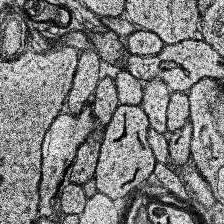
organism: Human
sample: Temporal Lobe